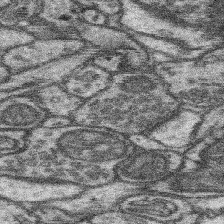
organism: Mouse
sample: Somatosensory cortex neuropil